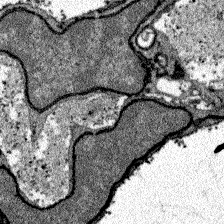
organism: Zebrafish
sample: Larval olfactory bulb